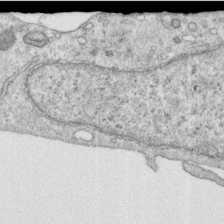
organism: Human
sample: Centriole in RPE cells